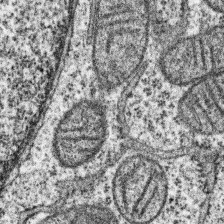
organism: Human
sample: HeLa cells